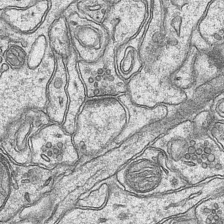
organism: Mouse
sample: CA1 Hippocampus